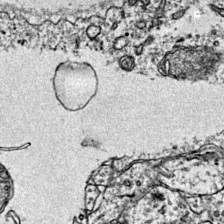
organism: Mouse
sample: Primary visual cortex